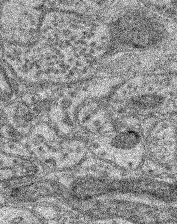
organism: Mouse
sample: Retina